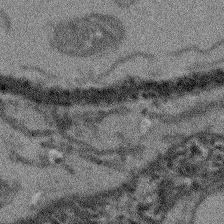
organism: Arabidopsis thaliana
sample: Root tip